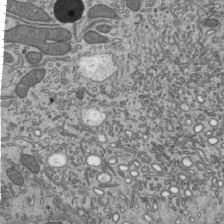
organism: Mouse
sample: Mouse epididymis efferent ductule cilia